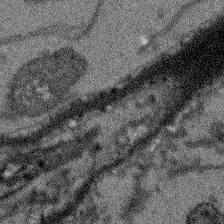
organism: Arabidopsis thaliana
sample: Root tip